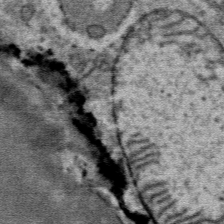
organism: Mouse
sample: Mouse Salivary gland